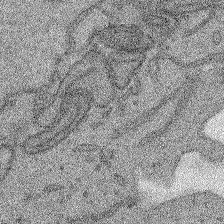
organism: Human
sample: HeLa cells